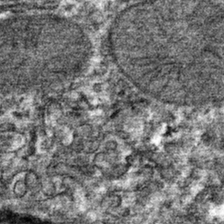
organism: Mouse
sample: Mouse hepatocytes